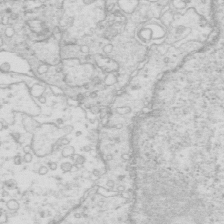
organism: Mouse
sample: Multiciliated cells